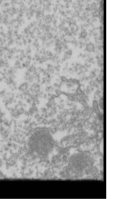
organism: Drosophila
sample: Cell division; meiosis; drosophila spermatocytes